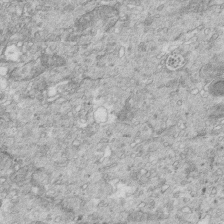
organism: Mouse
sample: Multiciliated cells